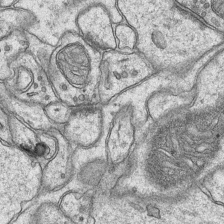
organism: Mouse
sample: CA1 Hippocampus